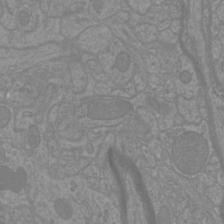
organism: Mouse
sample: Cortical neurons